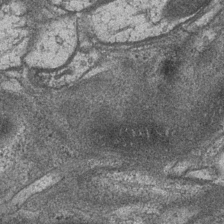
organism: Drosophila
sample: Optic medulla